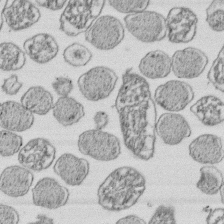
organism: E. coli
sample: Bacterial nucleoid